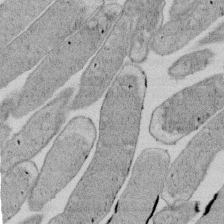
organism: E. coli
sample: Bacterial nucleoid